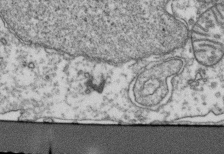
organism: Human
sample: Activated Jurkat CD4+ T cells